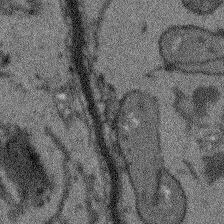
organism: Arabidopsis thaliana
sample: Root tip